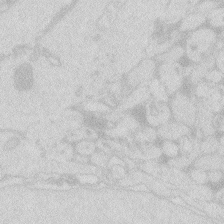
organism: Zebrafish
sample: Macrophage